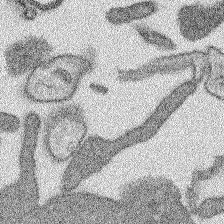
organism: Human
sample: HeLa cells